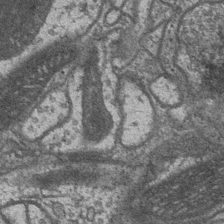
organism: Drosophila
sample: Optic medulla